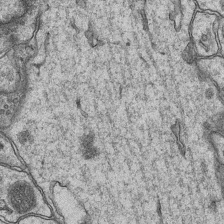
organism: Mouse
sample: CA1 Hippocampus